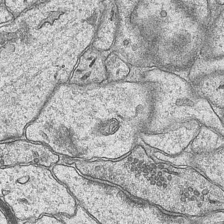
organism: Mouse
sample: CA1 Hippocampus